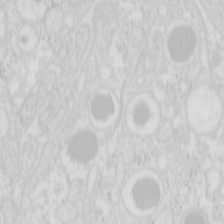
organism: Mouse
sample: Pancreas